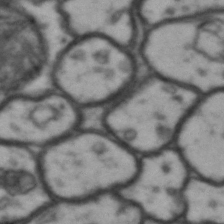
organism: Drosophila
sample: Brain